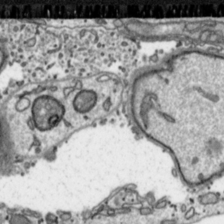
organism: Toxoplasma gondii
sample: Parasites in a vacuole inside a host cell